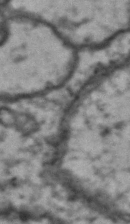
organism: Drosophila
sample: Brain